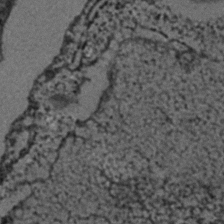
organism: C. elegans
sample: C. elegans embryo